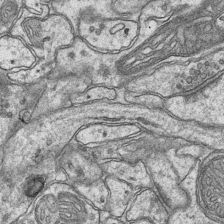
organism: Mouse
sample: CA1 Hippocampus